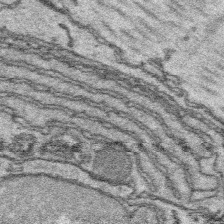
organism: Platynereis dumerilii